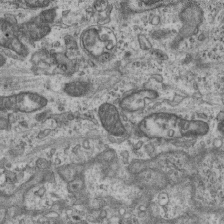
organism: Mouse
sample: Centriole in ependymal cells